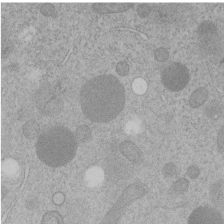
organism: C. elegans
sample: C. elegans embryo early stage